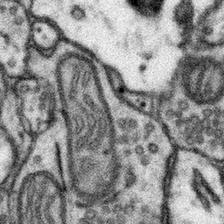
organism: Mouse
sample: Somatosensory cortex neuropil